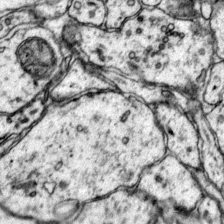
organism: Mouse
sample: Primary visual cortex